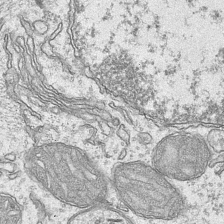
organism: Mouse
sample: CA1 Hippocampus